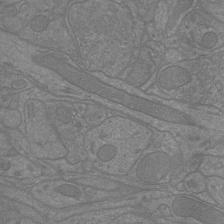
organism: Mouse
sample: Cortical neurons